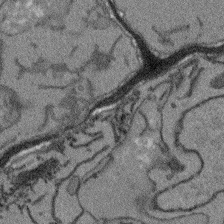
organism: Arabidopsis thaliana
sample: Root tip